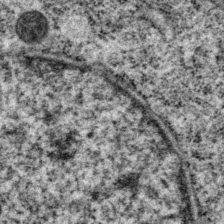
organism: P. pacificus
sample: Pharynx